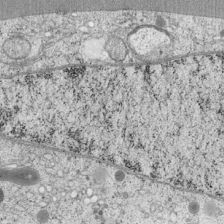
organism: African green monkey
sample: COS-7 cells